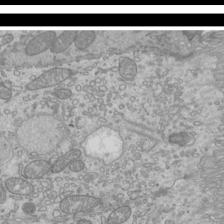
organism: Mouse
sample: Cilia; mouse epididymis